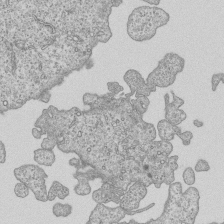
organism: Human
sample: MDA-MB-231 cells